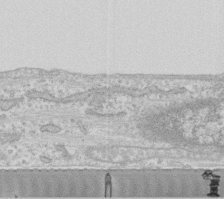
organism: Human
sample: Fibroblast cells